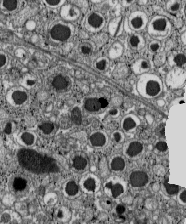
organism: C57BL Mouse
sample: Pancreatic islet